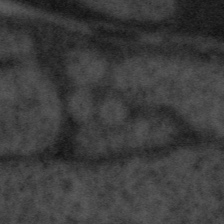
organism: Tuwongella immobilis